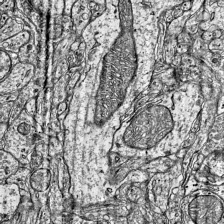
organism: Mouse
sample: Visual Cortex